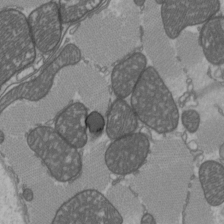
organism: C57BL Mouse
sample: Heart